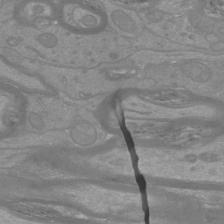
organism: Mouse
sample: Cortical neurons